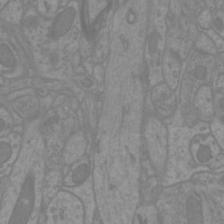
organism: Mouse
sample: Cortical neurons